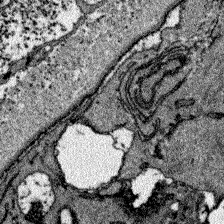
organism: Zebrafish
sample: Larval olfactory bulb